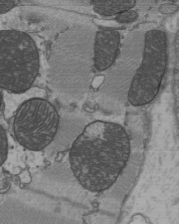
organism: C57BL Mouse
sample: Heart